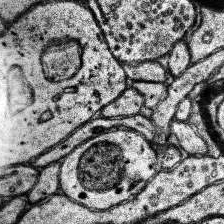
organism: Human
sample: Temporal Lobe